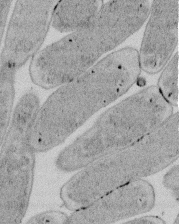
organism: E. coli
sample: Bacterial nucleoid